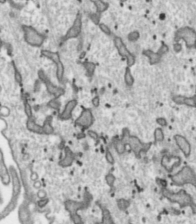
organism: Toxoplasma gondii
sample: Parasites in a vacuole inside a host cell